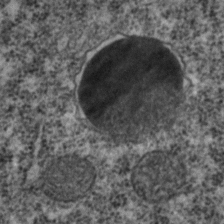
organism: C. elegans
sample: C. elegans embryo